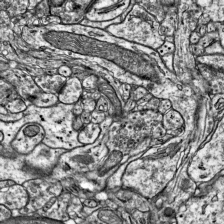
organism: Mouse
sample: Visual Cortex